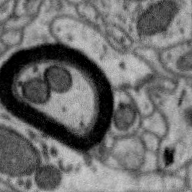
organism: Zebra finch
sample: Brain